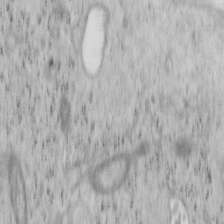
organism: Human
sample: HeLa cells